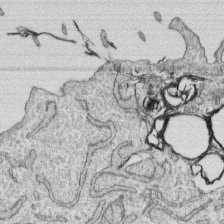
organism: Human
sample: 1205lu cells